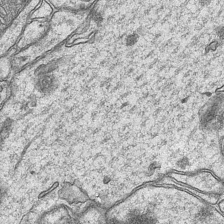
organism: Mouse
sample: CA1 Hippocampus